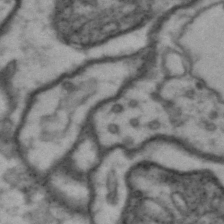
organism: Drosophila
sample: Brain